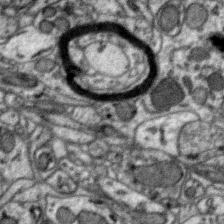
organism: Zebra finch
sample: Brain